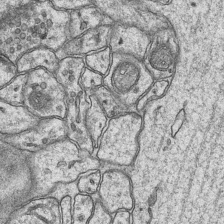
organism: Mouse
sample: CA1 Hippocampus